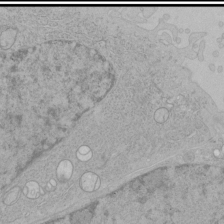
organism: Human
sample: Mitochondria in HCT116 cells